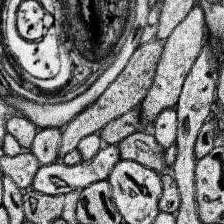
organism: Human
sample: Temporal Lobe